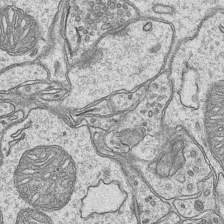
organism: Mouse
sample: CA1 Hippocampus